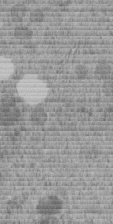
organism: C. elegans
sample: C. elegans embryo early stage